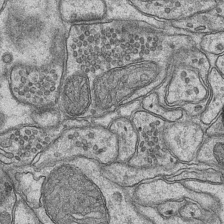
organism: Mouse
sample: CA1 Hippocampus